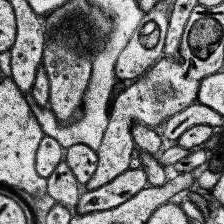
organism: Human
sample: Temporal Lobe